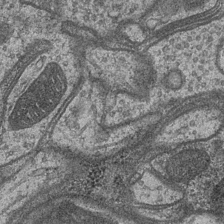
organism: Drosophila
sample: Optic medulla